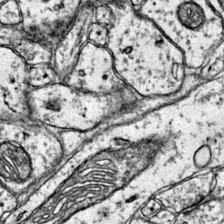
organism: Mouse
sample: Primary visual cortex